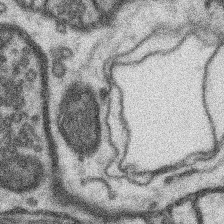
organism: Mouse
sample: Somatosensory cortex neuropil